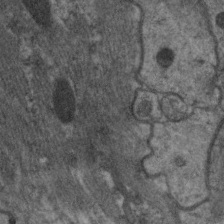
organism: C. elegans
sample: Pharynx